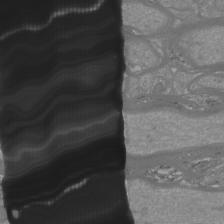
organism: Mouse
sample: Cortical neurons